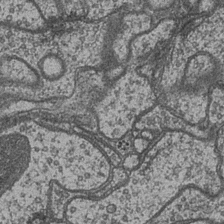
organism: Drosophila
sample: Optic medulla